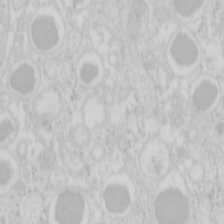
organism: Mouse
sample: Pancreas